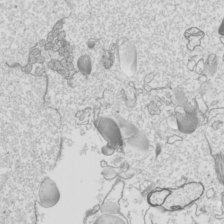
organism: Mouse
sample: Cilia; mouse epididymis